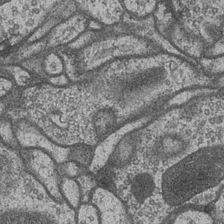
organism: Drosophila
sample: Optic medulla